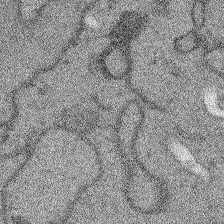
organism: Human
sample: HeLa cells